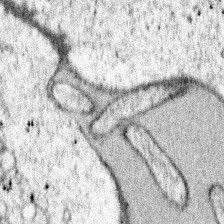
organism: Human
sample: HeLa cells